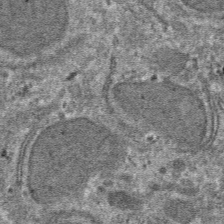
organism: Mouse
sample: Mouse hepatocytes